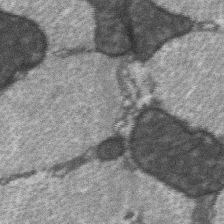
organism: C57BL Mouse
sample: Soleus